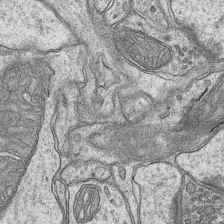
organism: Mouse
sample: CA1 Hippocampus